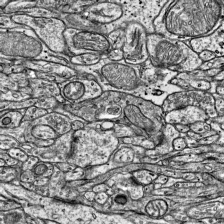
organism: Mouse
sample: Visual Cortex